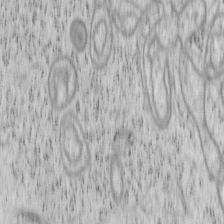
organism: Human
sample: HeLa cells